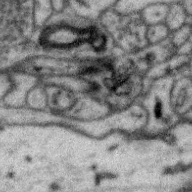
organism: Zebra finch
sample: Brain